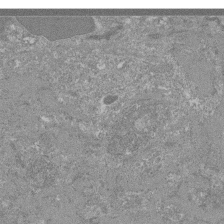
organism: Mouse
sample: Glomerulus